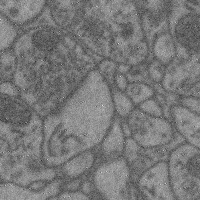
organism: Mouse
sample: Cerebral cortex